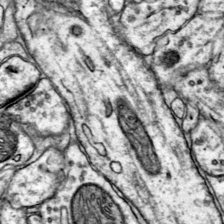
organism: Mouse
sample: Primary visual cortex